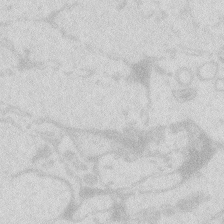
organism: Zebrafish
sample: Macrophage